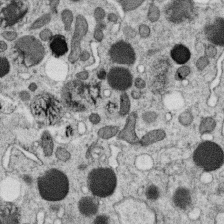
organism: C. elegans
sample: C. elegans oocyte; sperm cells